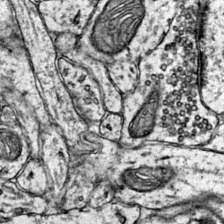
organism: Mouse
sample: Primary visual cortex